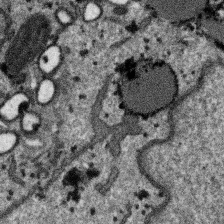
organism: Human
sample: Lung epithelial cells infected with SARS-CoV-2